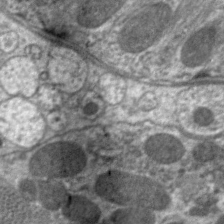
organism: C. elegans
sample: Pharynx